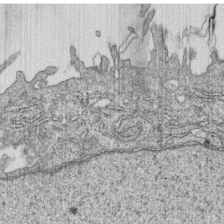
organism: Human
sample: HeLa cell HIV synapse